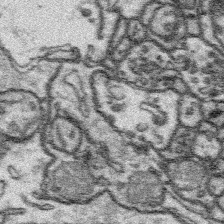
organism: Platynereis dumerilii